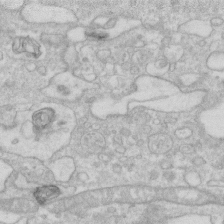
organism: Human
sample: Fibroblast cells